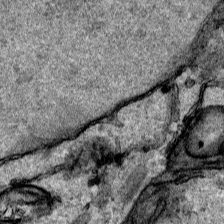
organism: Human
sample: Mitochondria in HCT116 cells